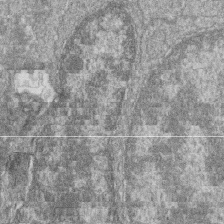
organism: Zebrafish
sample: Cilia; retinal pigment epithelium